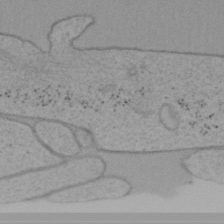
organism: Human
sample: HeLa cells